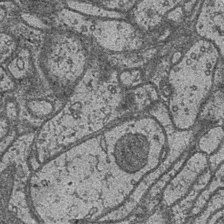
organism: Drosophila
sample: Optic medulla